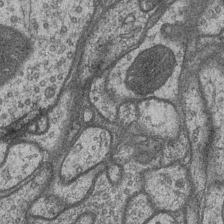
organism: Drosophila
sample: Optic medulla